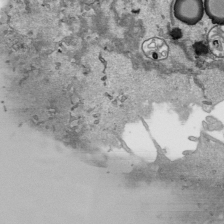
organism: Human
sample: Mitochondria in HCT116 cells